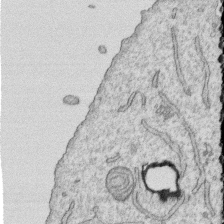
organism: Human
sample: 1205lu cells